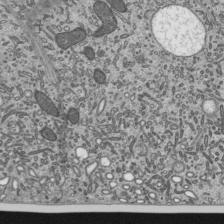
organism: Mouse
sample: Mouse epididymis efferent ductule cilia